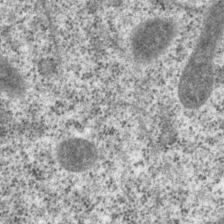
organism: P. pacificus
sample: Pharynx